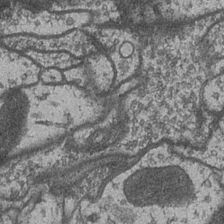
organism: Drosophila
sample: Optic medulla